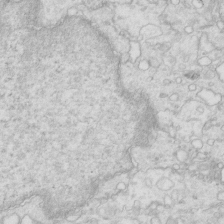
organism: Mouse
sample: Multiciliated cells